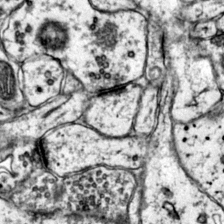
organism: Mouse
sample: Primary visual cortex